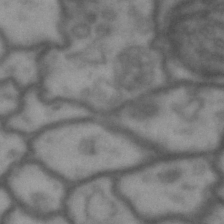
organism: Drosophila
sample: Brain